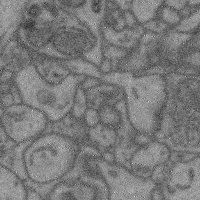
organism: Mouse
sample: Cerebral cortex